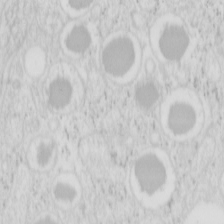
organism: Mouse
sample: Pancreas